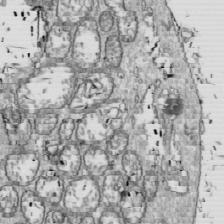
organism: Drosophila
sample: Cell division; meiosis; drosophila spermatocytes